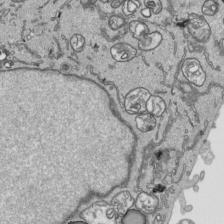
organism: Human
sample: Mitochondria in HCT116 cells